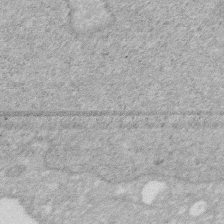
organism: Human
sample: HIV infected U937 cells